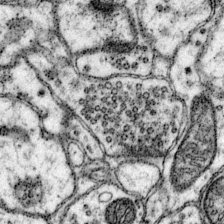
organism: Mouse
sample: Primary visual cortex